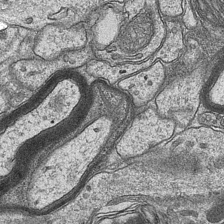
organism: Mouse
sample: CA1 Hippocampus